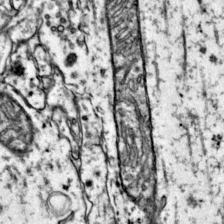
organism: Mouse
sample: Primary visual cortex